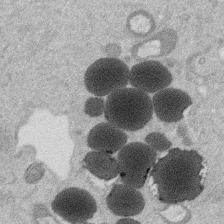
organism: Mouse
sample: Dividing mouse embryo 1 cell stage